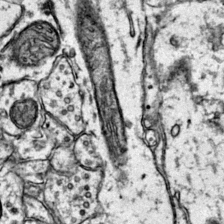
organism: Mouse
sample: Primary visual cortex